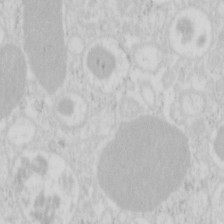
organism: Mouse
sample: Pancreas